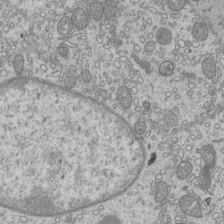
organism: Mouse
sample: Cilia; mouse epididymis